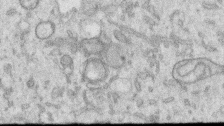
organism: Human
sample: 1205lu cells